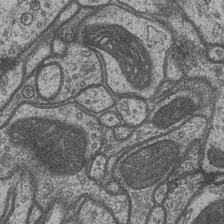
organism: Drosophila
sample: Optic medulla